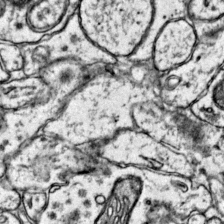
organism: Mouse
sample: Primary visual cortex